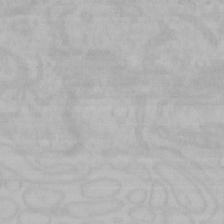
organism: Mouse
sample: Choroid plexus